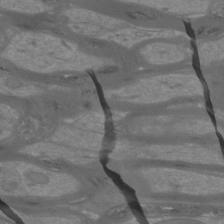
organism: Mouse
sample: Cortical neurons